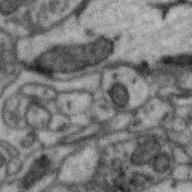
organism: Zebra finch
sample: Brain